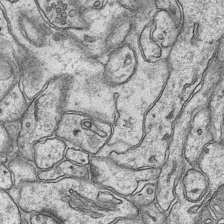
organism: Mouse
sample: CA1 Hippocampus